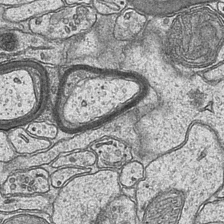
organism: Mouse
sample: CA1 Hippocampus